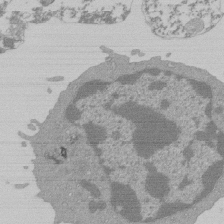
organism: Mouse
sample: Activated Pmel transgenic CD8+ T Cells